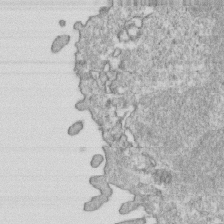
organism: Mouse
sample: Activated OT-1 CD8+ T cells